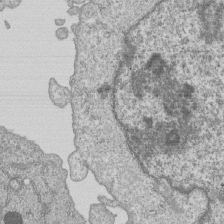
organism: Human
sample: MDA-MB-231 cells